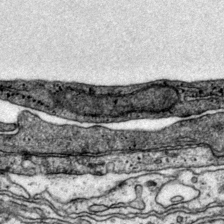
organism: Mouse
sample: Primary visual cortex